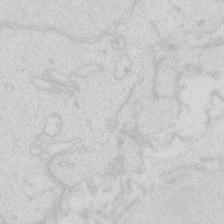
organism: Zebrafish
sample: Macrophage